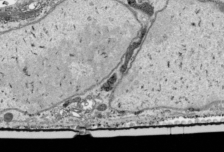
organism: Human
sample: Mitochondria in HCT116 cells